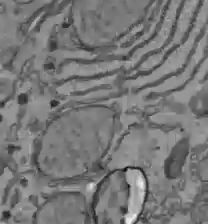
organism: C57BL Mouse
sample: Liver